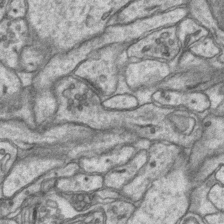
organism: Mouse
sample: CA1 Hippocampus